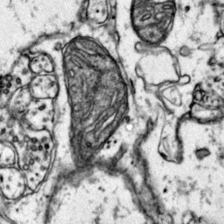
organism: Mouse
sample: Primary visual cortex